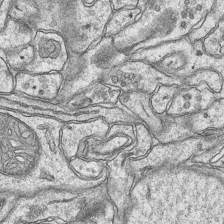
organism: Mouse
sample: CA1 Hippocampus